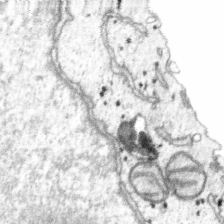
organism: Human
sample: HeLa cells